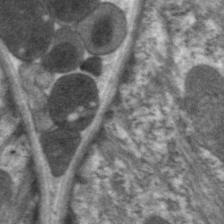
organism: C. elegans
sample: Pharynx